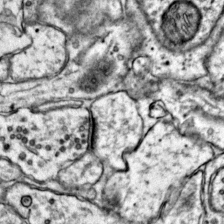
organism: Mouse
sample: Primary visual cortex